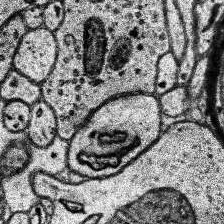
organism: Human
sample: Temporal Lobe